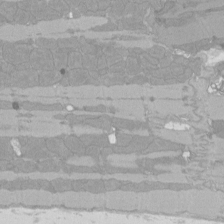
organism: Rat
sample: Left ventricle